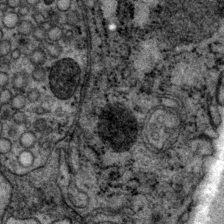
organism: P. pacificus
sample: Pharynx